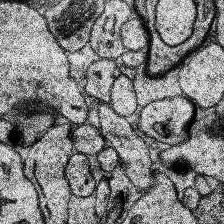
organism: Human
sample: Temporal Lobe